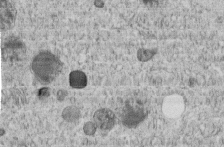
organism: C. elegans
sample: C. elegans embryo early stage